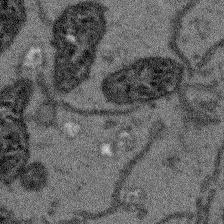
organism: Arabidopsis thaliana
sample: Root tip